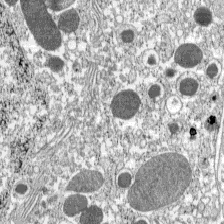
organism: C57BL Mouse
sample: Pancreatic islet